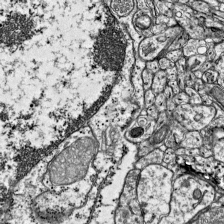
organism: Mouse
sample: Visual Cortex